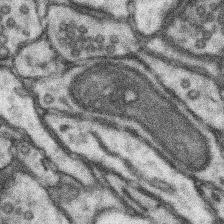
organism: Mouse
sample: Somatosensory cortex neuropil